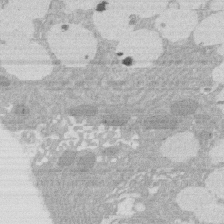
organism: Rat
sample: Salivary granule